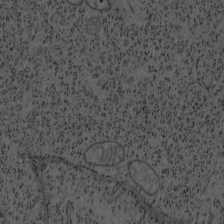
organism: Mouse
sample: OT-I killer T cells with ID8 ovarian cancer cells